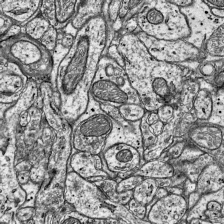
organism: Mouse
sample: Visual Cortex